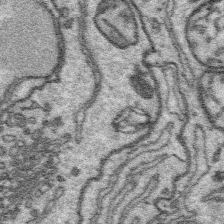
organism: Platynereis dumerilii